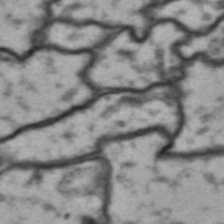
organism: Drosophila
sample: Brain